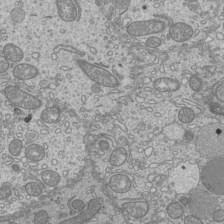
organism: Mouse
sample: Cilia; mouse epididymis